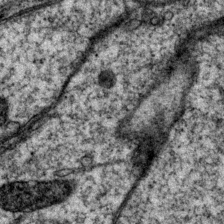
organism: P. pacificus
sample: Pharynx